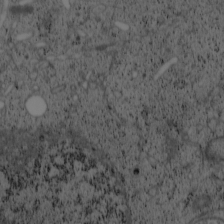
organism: African green monkey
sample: COS-7 cells